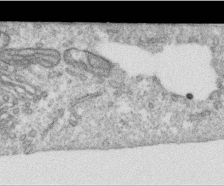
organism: Human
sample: Centriole in RPE cells